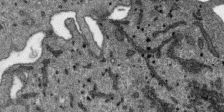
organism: Human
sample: Lung epithelial cells, uninfected (mock) control